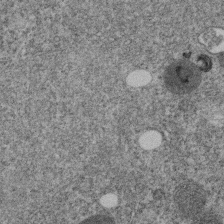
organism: C. elegans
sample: C. elegans embryo early stage